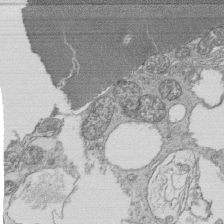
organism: Tetrahymena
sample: Cilia in tetrahymena